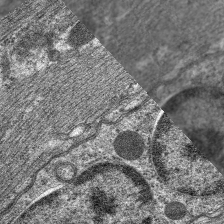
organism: C. elegans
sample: Pharynx